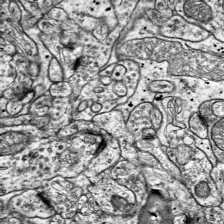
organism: Mouse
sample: Visual Cortex